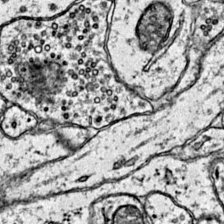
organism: Mouse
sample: Primary visual cortex